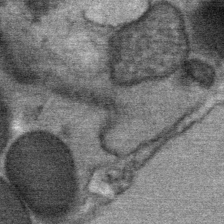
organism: Mouse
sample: Mouse Salivary gland